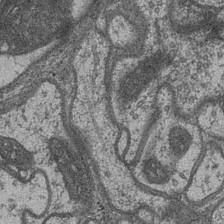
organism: Drosophila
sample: Optic medulla